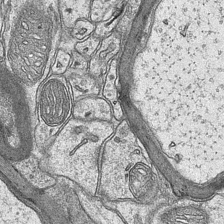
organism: Mouse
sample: CA1 Hippocampus